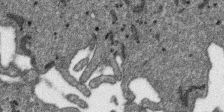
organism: Human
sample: Lung epithelial cells infected with SARS-CoV-2